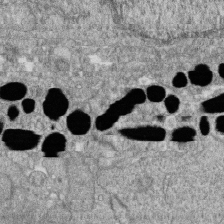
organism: Zebrafish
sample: Cilia; retinal pigment epithelium